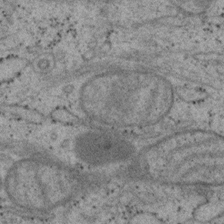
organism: Human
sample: HeLa cells